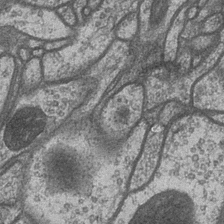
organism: Drosophila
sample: Optic medulla